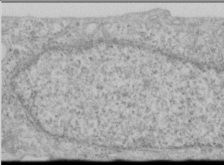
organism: Human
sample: Cilia; basal body in RPE cells